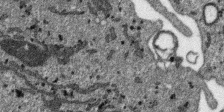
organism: Human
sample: Lung epithelial cells infected with SARS-CoV-2